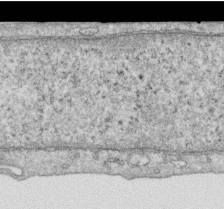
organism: Human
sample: Centriole in RPE cells